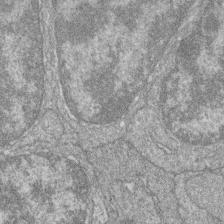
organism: Zebrafish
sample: Cilia; retinal pigment epithelium